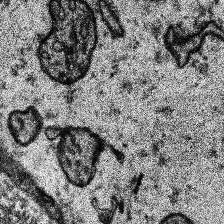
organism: Human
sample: Temporal Lobe